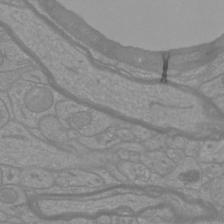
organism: Mouse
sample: Cortical neurons